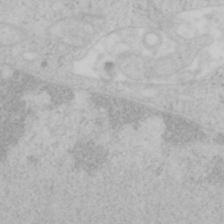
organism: Mouse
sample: OT-I killer T cells with ID8 ovarian cancer cells